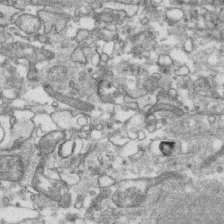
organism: Human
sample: CRL-1474